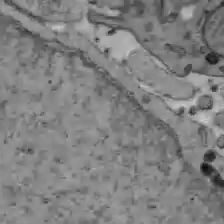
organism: C57BL Mouse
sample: Liver